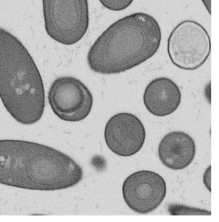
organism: B. subtilis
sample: Bacterial spore